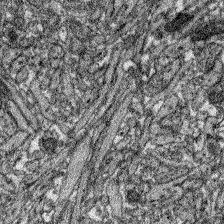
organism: Zebrafish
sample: Larval olfactory bulb